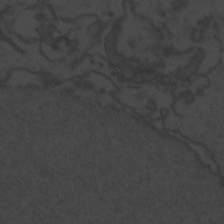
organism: Zebrafish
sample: Macrophage infected with Toxoplasma gondii